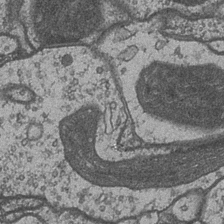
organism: Drosophila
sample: Optic medulla